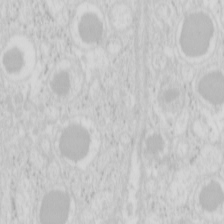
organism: Mouse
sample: Pancreas